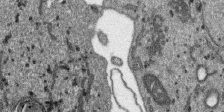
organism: Human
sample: Lung epithelial cells infected with SARS-CoV-2